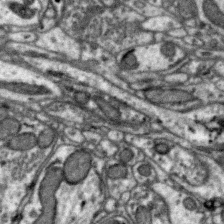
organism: Zebra finch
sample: Brain